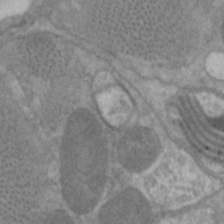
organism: C. elegans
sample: Pharynx